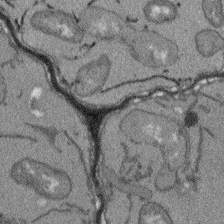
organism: Arabidopsis thaliana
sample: Root tip